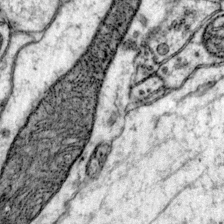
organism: Mouse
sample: Primary visual cortex